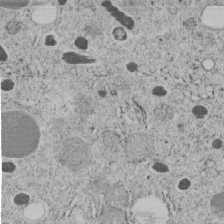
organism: C. elegans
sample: C. elegans embryo early stage